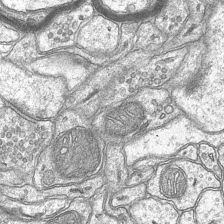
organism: Mouse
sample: CA1 Hippocampus